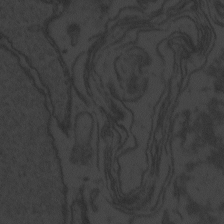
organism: Zebrafish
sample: Macrophage infected with Toxoplasma gondii